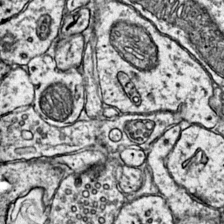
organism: Mouse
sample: Primary visual cortex